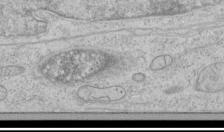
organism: Human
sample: Mitochondria in HCT116 cells